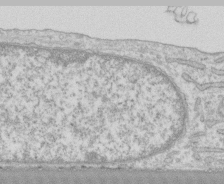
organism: Human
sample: CRL-1474